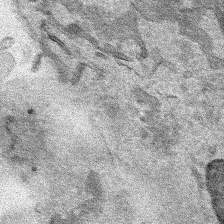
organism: Human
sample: Mitochondria in HCT116 cells